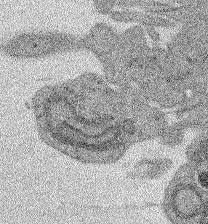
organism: Human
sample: HeLa cells